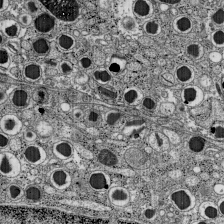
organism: C57BL Mouse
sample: Pancreatic islet